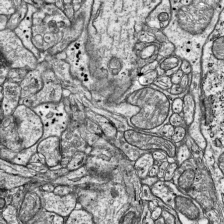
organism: Mouse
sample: Visual Cortex